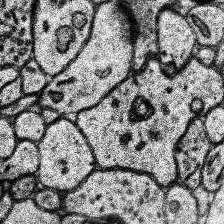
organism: Human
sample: Temporal Lobe